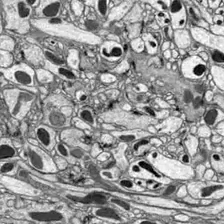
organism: Drosophila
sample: Optic lobe